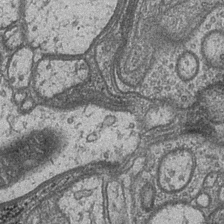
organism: Drosophila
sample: Optic medulla